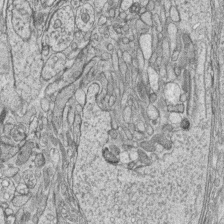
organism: Zebrafish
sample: synaptic ribbons in rod cells and cone cells